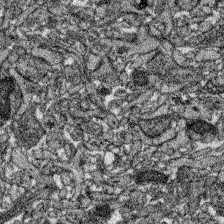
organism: Zebrafish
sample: Larval olfactory bulb